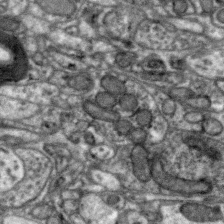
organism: Zebra finch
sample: Brain